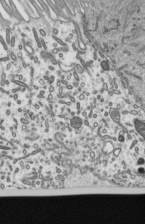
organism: Mouse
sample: Mouse epididymis efferent ductule cilia